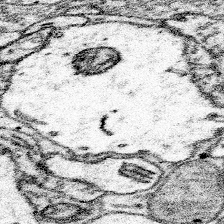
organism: Mouse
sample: Somatosensory cortex neuropil